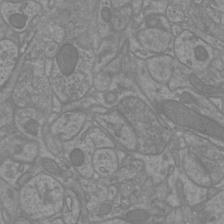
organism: Mouse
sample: Cortical neurons